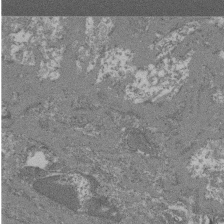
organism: Mouse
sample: Glomerulus